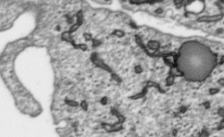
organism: Toxoplasma gondii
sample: Parasites in a vacuole inside a host cell